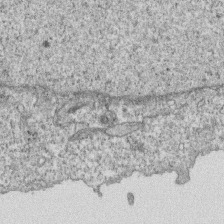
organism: Human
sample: HeLa cell HIV synapse